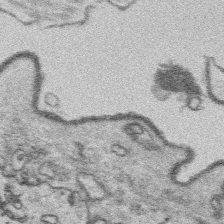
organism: Platynereis dumerilii